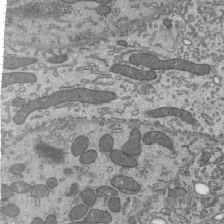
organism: Mouse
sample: Mouse epididymis efferent ductule cilia